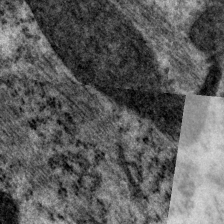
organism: P. pacificus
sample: Pharynx